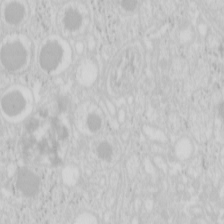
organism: Mouse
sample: Pancreas